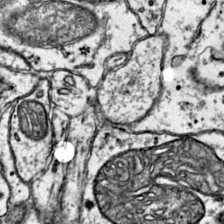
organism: Mouse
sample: Primary visual cortex